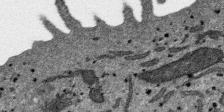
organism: Human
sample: Lung epithelial cells, uninfected (mock) control